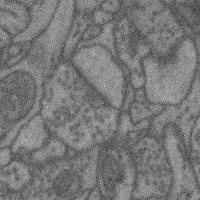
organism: Mouse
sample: Cerebral cortex